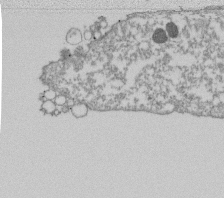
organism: Dictyostelium discoideum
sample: Dictyostelium multivesicular bodies